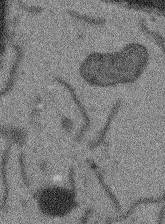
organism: Arabidopsis thaliana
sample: Root tip